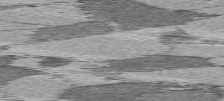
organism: C57BL Mouse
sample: Heart